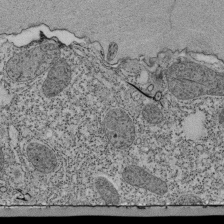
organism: Tetrahymena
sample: Cilia in tetrahymena